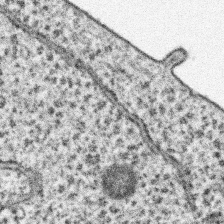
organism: Human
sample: HeLa cells